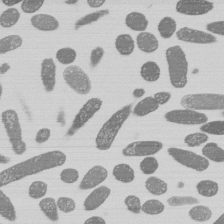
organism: E. coli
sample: Bacterial nucleoid